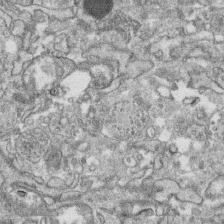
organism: Human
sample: CRL-1474